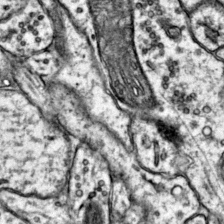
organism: Mouse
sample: Primary visual cortex